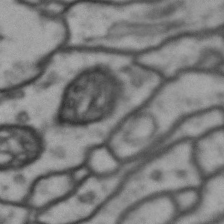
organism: Drosophila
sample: Brain